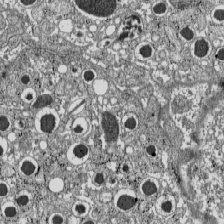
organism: C57BL Mouse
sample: Pancreatic islet